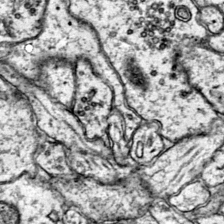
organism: Mouse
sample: Primary visual cortex